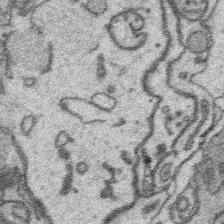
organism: Platynereis dumerilii